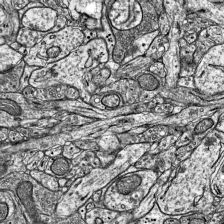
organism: Mouse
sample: Visual Cortex